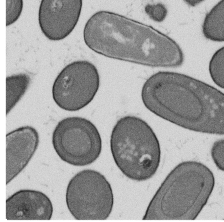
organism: B. subtilis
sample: Bacterial spore